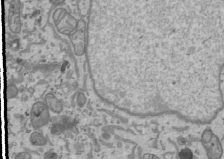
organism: Human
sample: Mitochondria in U2OS cells